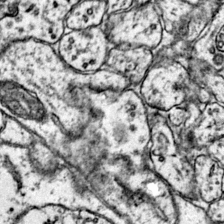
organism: Mouse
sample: Primary visual cortex